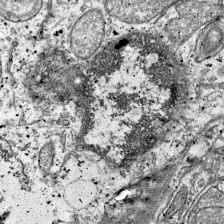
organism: Mouse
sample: Visual Cortex